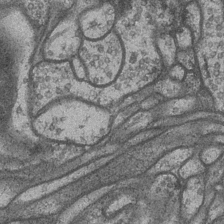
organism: Drosophila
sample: Optic medulla